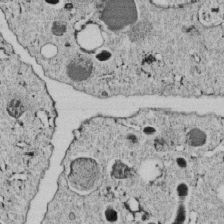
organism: C. elegans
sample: C. elegans embryo early stage